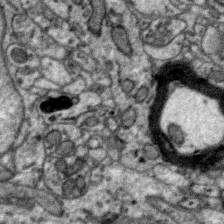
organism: Zebra finch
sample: Brain